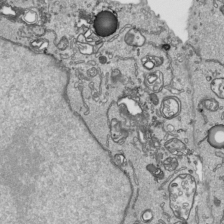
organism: Human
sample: Mitochondria in HCT116 cells